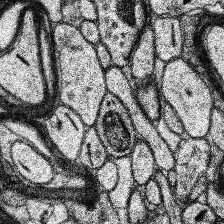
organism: Human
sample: Temporal Lobe